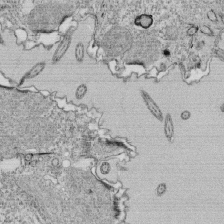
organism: Tetrahymena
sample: Cilia in tetrahymena